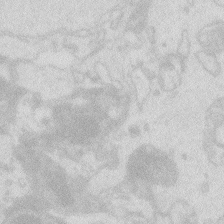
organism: Zebrafish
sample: Macrophage